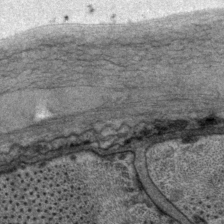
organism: P. pacificus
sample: Pharynx